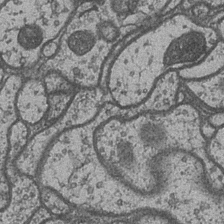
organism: Drosophila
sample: Optic medulla